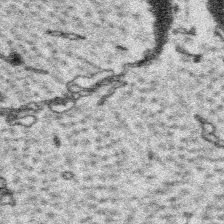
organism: Platynereis dumerilii